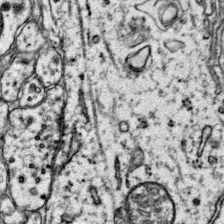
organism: Mouse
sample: Primary visual cortex